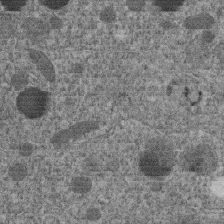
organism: C. elegans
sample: C. elegans embryo early stage